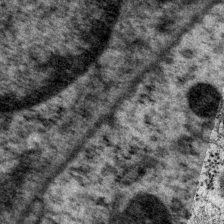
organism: P. pacificus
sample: Pharynx